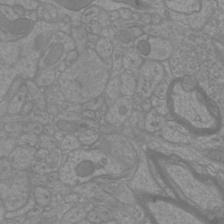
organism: Mouse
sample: Cortical neurons